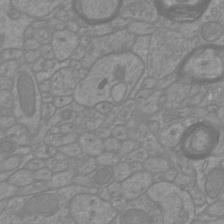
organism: Mouse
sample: Cortical neurons